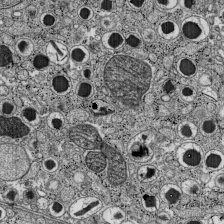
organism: C57BL Mouse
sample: Pancreatic islet